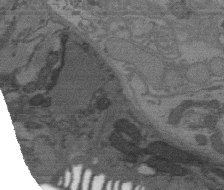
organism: C. elegans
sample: AFD neurons C. elegans